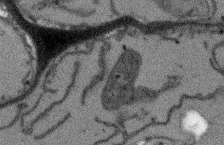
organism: Arabidopsis thaliana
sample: Root tip